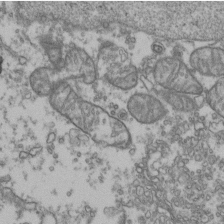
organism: Human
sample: Activated Jurkat CD4+ T cells